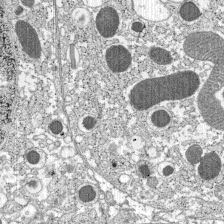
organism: C57BL Mouse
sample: Pancreatic islet